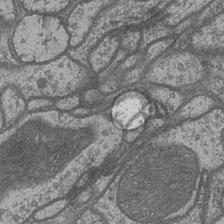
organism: Drosophila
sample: Optic medulla